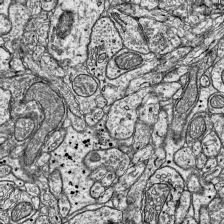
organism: Mouse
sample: Visual Cortex